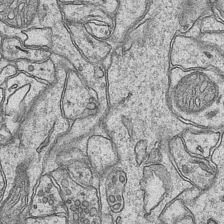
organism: Mouse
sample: CA1 Hippocampus